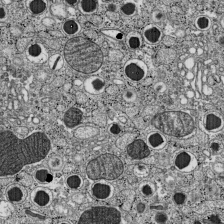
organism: C57BL Mouse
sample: Pancreatic islet